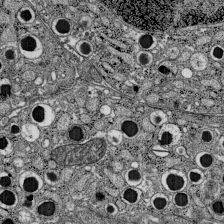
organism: C57BL Mouse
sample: Pancreatic islet